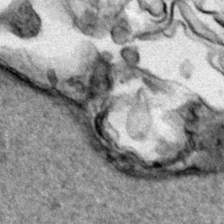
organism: Human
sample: Mitochondria in HCT116 cells